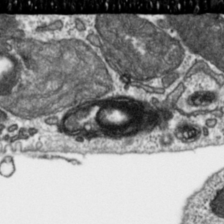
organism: Toxoplasma gondii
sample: Parasites in a vacuole inside a host cell